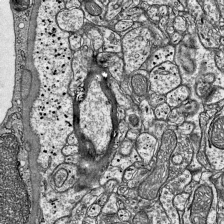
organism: Mouse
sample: Visual Cortex